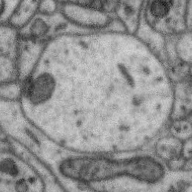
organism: Zebra finch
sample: Brain